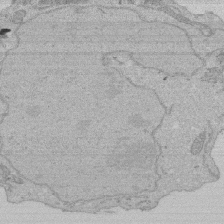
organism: Human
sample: Activated Jurkat CD4+ T cells